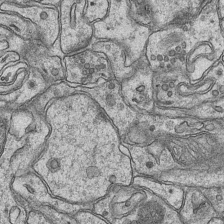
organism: Mouse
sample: CA1 Hippocampus